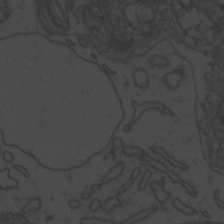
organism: Zebrafish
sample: Macrophage infected with Toxoplasma gondii